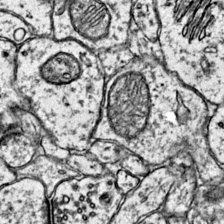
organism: Mouse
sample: Primary visual cortex